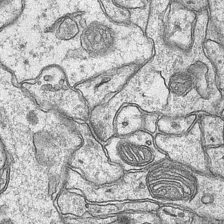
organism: Mouse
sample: CA1 Hippocampus